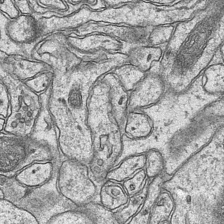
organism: Mouse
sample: CA1 Hippocampus